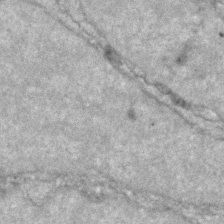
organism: Zebrafish